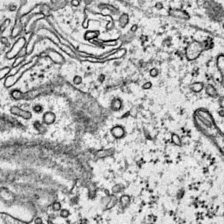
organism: Mouse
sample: Primary visual cortex